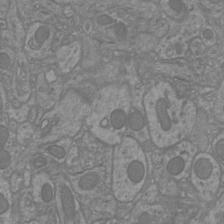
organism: Mouse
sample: Cortical neurons